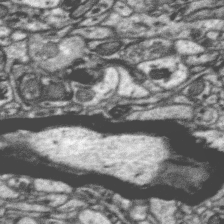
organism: Zebra finch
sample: Brain